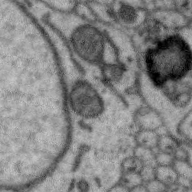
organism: Zebra finch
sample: Brain